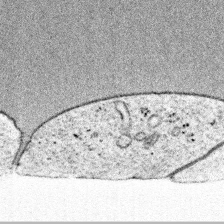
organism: Human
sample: HeLa cells